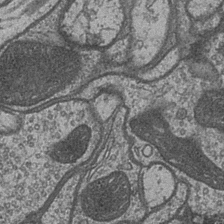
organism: Drosophila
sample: Optic medulla